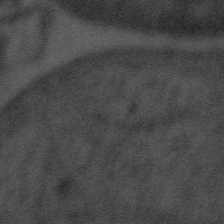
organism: Tuwongella immobilis